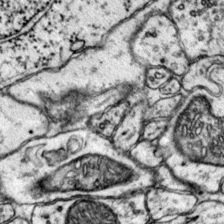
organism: Mouse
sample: Primary visual cortex